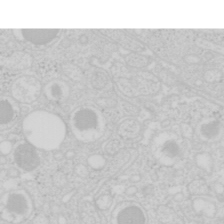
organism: Mouse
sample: Pancreas